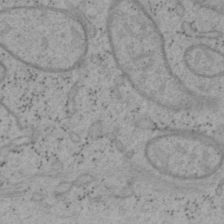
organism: Human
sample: HeLa cells